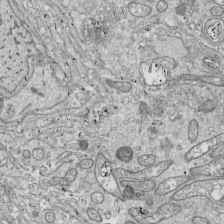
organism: Drosophila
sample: Cell division; meiosis; drosophila spermatocytes